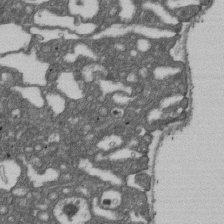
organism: Drosophila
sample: Nephrocyte